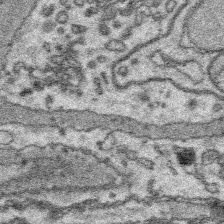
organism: Platynereis dumerilii